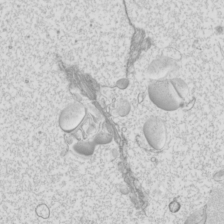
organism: Mouse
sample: Cilia; mouse epididymis